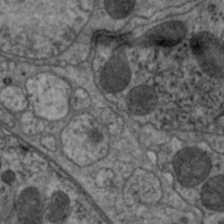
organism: C. elegans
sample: Pharynx